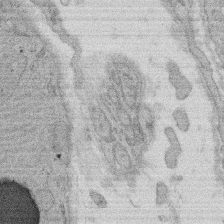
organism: Rat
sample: Salivary granule